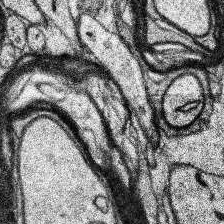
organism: Human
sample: Temporal Lobe